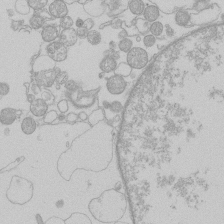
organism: Human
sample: Macrophage cells